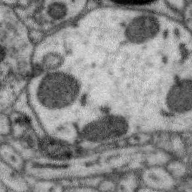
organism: Zebra finch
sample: Brain